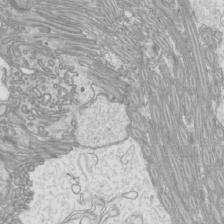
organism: Mouse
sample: Cilia; mouse epididymis